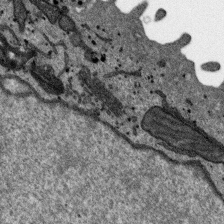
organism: Human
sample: Lung epithelial cells, uninfected (mock) control